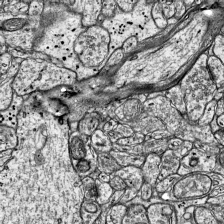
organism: Mouse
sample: Visual Cortex